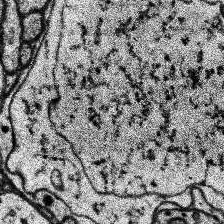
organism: Human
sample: Temporal Lobe